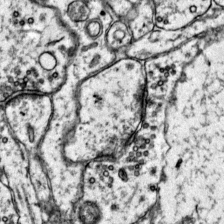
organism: Mouse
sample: Primary visual cortex